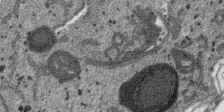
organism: Human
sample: Lung epithelial cells infected with SARS-CoV-2